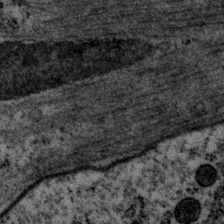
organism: P. pacificus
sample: Pharynx